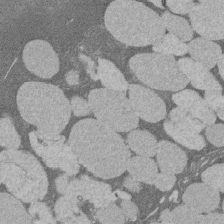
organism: Rat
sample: Salivary granule